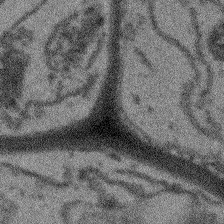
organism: Arabidopsis thaliana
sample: Root tip